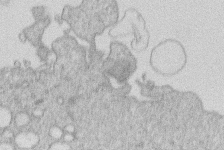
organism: Human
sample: Macrophage cells